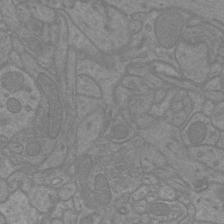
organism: Mouse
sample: Cortical neurons